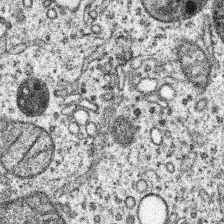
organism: Human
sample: HeLa cells